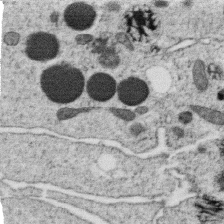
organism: C. elegans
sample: C. elegans oocyte; sperm cells